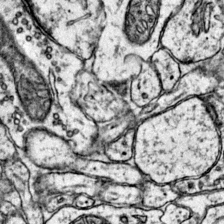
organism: Mouse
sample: Primary visual cortex